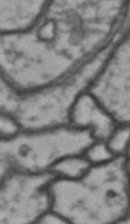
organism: Drosophila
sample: Brain